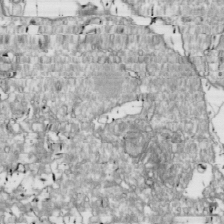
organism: Drosophila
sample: Cell division; meiosis; drosophila spermatocytes